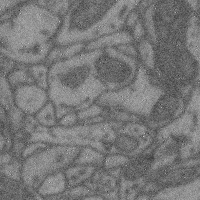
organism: Mouse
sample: Cerebral cortex